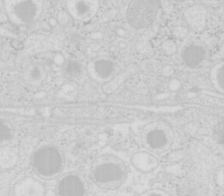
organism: Mouse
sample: Pancreas